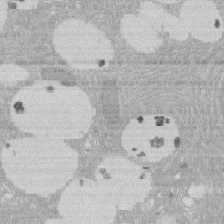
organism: Rat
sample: Salivary granule